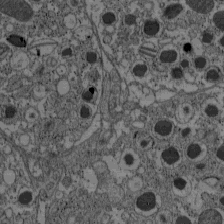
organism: C57BL Mouse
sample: Pancreatic islet